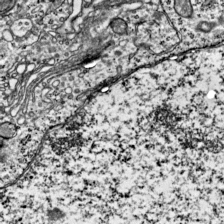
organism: Mouse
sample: Visual Cortex